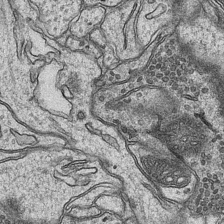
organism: Mouse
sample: CA1 Hippocampus